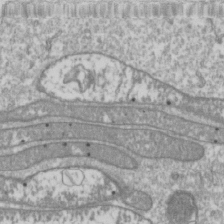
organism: Drosophila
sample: Cell division; meiosis; drosophila spermatocytes